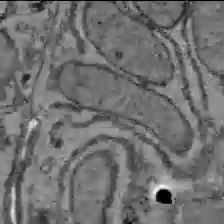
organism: C57BL Mouse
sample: Liver